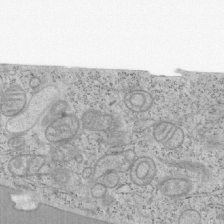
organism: Human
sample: HeLa cells